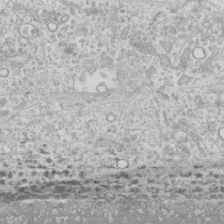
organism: Human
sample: CRL-1474